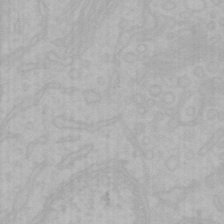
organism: Mouse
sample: Choroid plexus